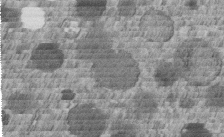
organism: C. elegans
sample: C. elegans embryo early stage